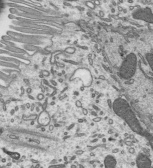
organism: Mouse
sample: Mouse epididymis efferent ductule cilia